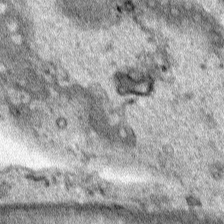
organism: Human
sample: Mitochondria in HCT116 cells